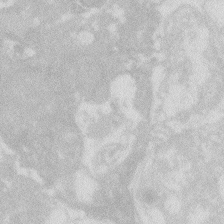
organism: Zebrafish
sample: Macrophage